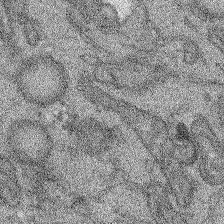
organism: Human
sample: HeLa cells